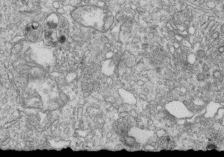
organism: Human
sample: HeLa cell HIV synapse